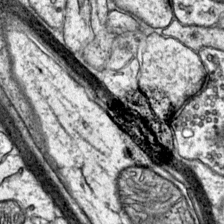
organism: Mouse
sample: Primary visual cortex